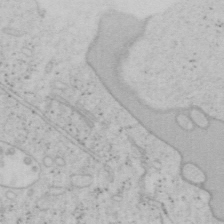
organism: Human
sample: HeLa cells